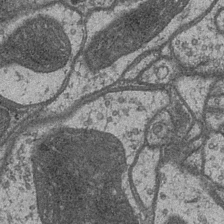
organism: Drosophila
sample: Optic medulla